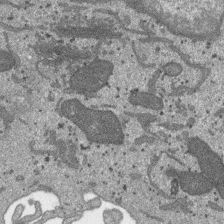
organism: Human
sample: Lung epithelial cells infected with SARS-CoV-2